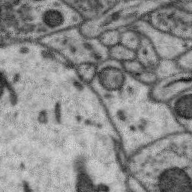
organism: Zebra finch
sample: Brain